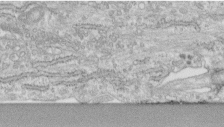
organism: Human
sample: Centriole in fibroblast cells